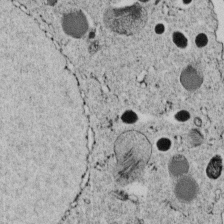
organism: C. elegans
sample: C. elegans embryo early stage